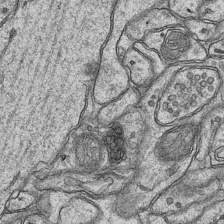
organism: Mouse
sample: CA1 Hippocampus